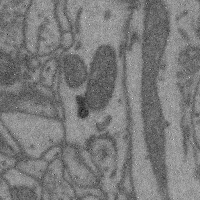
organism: Mouse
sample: Cerebral cortex